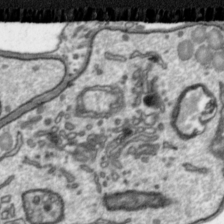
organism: Toxoplasma gondii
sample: Parasites in a vacuole inside a host cell